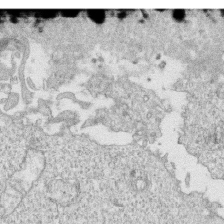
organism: Human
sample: HeLa cell HIV synapse